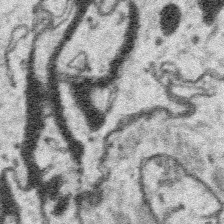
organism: Platynereis dumerilii